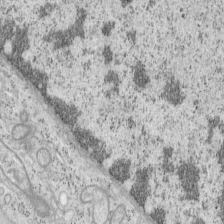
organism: Mouse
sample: OT-I killer T cells with ID8 ovarian cancer cells